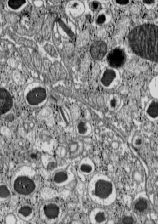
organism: C57BL Mouse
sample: Pancreatic islet